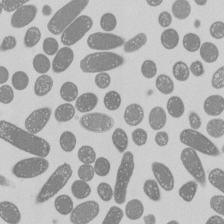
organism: E. coli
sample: Bacterial nucleoid